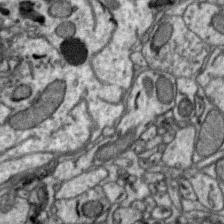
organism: Zebra finch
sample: Brain